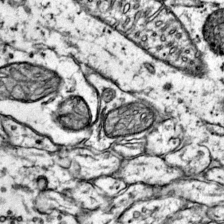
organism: Mouse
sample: Primary visual cortex